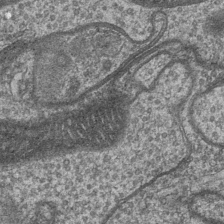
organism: Drosophila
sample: Optic medulla